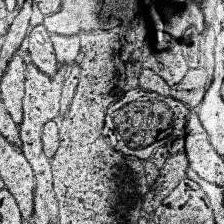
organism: Human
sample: Temporal Lobe